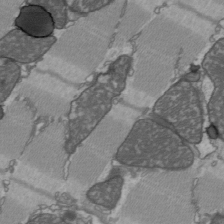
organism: C57BL Mouse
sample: Heart